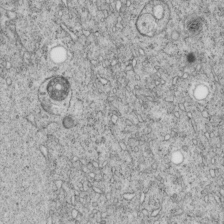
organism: C. elegans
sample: C. elegans embryo early stage